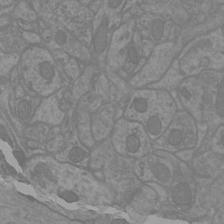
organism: Mouse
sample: Cortical neurons